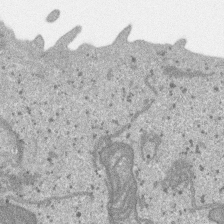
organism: Human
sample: Lung epithelial cells infected with SARS-CoV-2